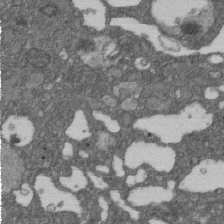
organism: Drosophila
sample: Nephrocyte